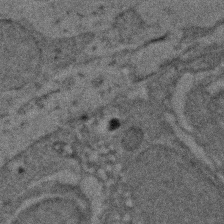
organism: Zebrafish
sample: Zebrafish embryo